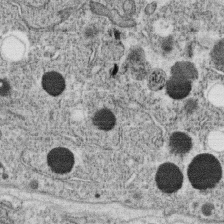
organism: C. elegans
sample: C. elegans oocyte; sperm cells